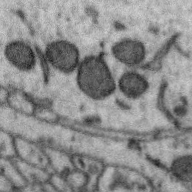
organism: Zebra finch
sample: Brain